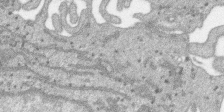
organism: Human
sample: Lung epithelial cells infected with SARS-CoV-2